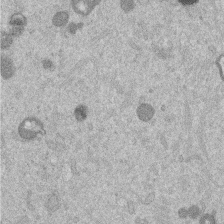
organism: Mouse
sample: Dividing mouse embryo 1 cell stage